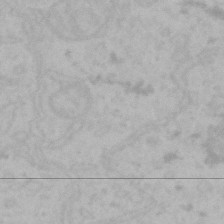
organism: Mouse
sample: Choroid plexus